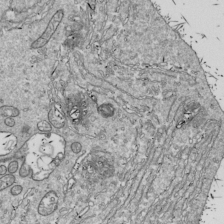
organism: Drosophila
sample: Cell division; meiosis; drosophila spermatocytes